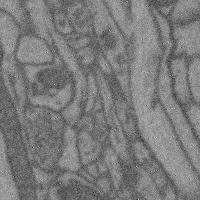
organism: Mouse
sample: Cerebral cortex